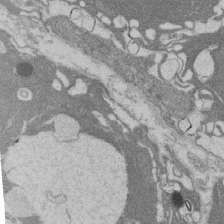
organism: Rat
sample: Salivary granule